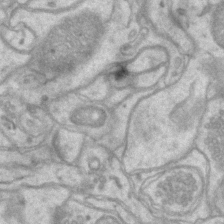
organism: Mouse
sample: CA1 Hippocampus